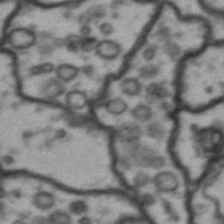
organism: Drosophila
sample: Brain